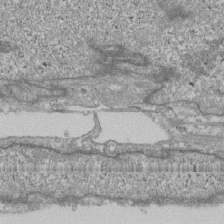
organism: Human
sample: Fibroblast cells